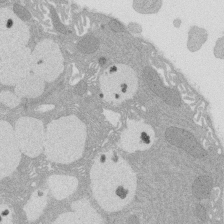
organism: Rat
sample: Salivary granule